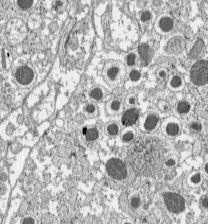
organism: C57BL Mouse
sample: Pancreatic islet